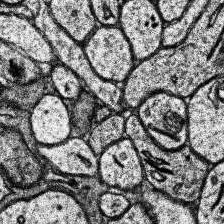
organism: Human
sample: Temporal Lobe